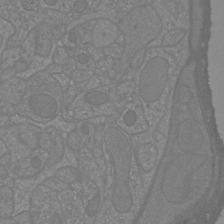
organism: Mouse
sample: Cortical neurons